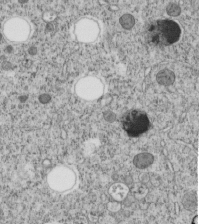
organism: C. elegans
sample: C. elegans embryo early stage